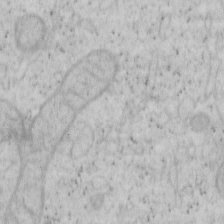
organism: Human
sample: HeLa cells